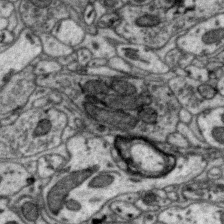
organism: Zebra finch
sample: Brain